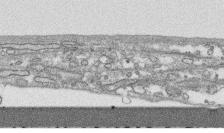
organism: Human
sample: CRL-1474